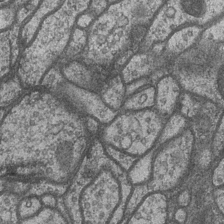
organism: Drosophila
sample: Optic medulla